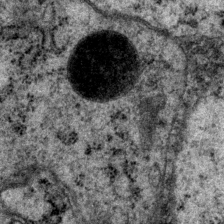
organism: P. pacificus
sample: Pharynx